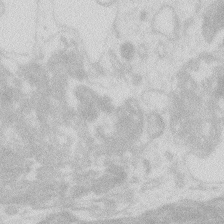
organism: Zebrafish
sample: Macrophage